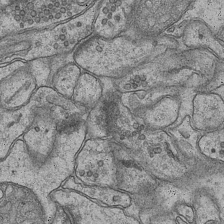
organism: Mouse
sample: CA1 Hippocampus